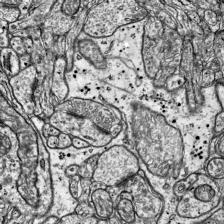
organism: Mouse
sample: Visual Cortex